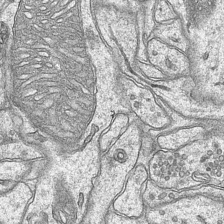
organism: Mouse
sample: CA1 Hippocampus